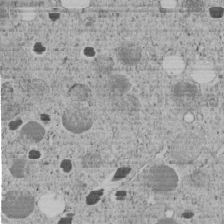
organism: C. elegans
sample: C. elegans embryo early stage